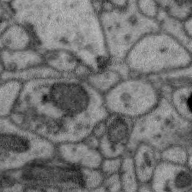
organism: Zebra finch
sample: Brain